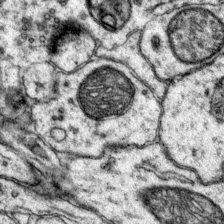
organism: Mouse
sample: Primary visual cortex